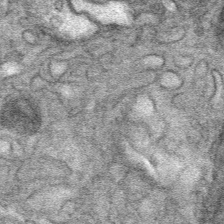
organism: Mouse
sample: Mouse Salivary gland